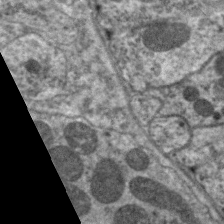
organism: C. elegans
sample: Pharynx